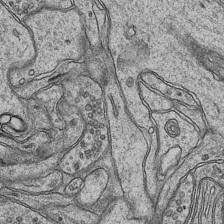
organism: Mouse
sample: CA1 Hippocampus